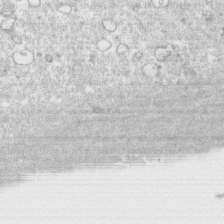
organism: Human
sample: CRL-1474